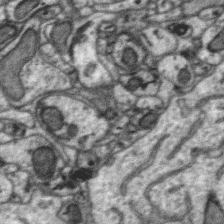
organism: Zebra finch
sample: Brain